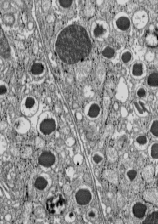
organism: C57BL Mouse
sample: Pancreatic islet